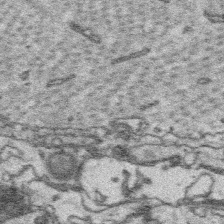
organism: Platynereis dumerilii